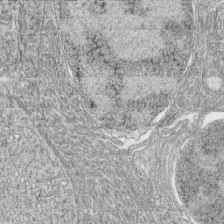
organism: Zebrafish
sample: synaptic ribbons in rod cells and cone cells